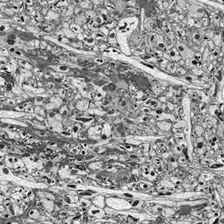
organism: Drosophila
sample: Optic lobe